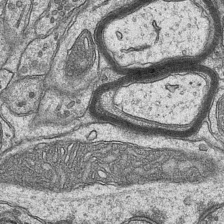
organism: Mouse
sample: CA1 Hippocampus